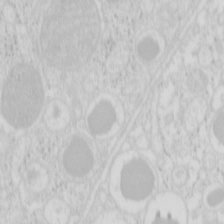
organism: Mouse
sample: Pancreas